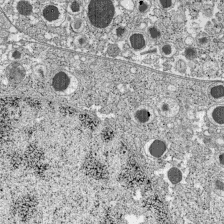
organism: C57BL Mouse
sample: Pancreatic islet